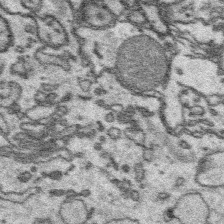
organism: Platynereis dumerilii